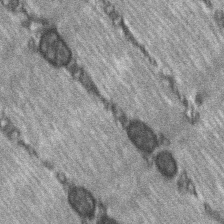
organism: C57BL Mouse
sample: Soleus